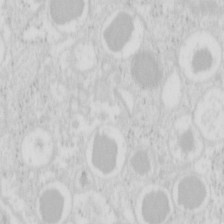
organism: Mouse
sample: Pancreas